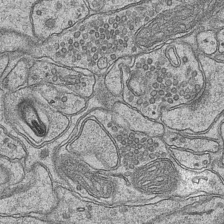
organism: Mouse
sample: CA1 Hippocampus